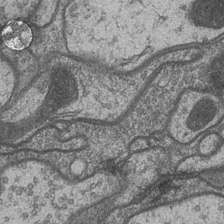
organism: Drosophila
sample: Optic medulla